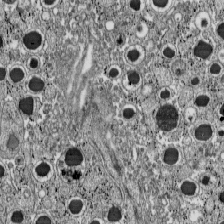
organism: C57BL Mouse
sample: Pancreatic islet